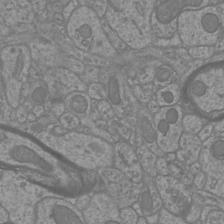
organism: Mouse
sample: Cortical neurons